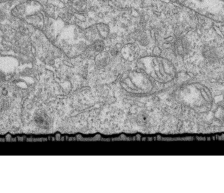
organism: Human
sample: HeLa cell HIV synapse